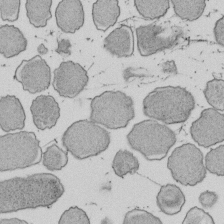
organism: E. coli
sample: Bacterial nucleoid